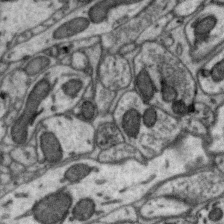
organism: Zebra finch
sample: Brain